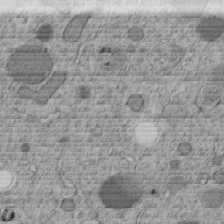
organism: C. elegans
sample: C. elegans embryo early stage